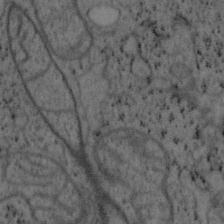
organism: Human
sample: HeLa cells